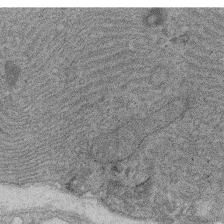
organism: Rat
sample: Salivary granule